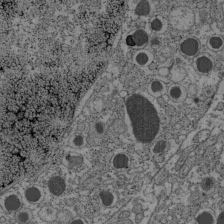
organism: C57BL Mouse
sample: Pancreatic islet